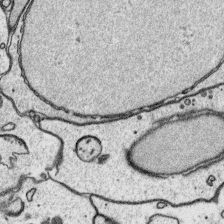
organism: Platynereis dumerilii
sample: Parapodia